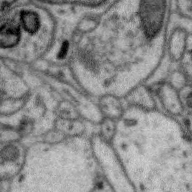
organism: Zebra finch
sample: Brain